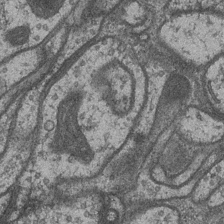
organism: Drosophila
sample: Optic medulla